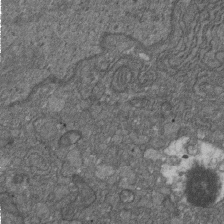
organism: Drosophila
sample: Nephrocyte